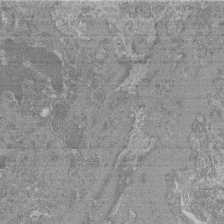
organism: Mouse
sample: Glomerulus